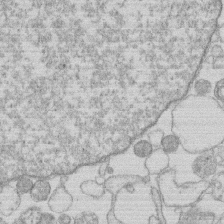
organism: Human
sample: Macrophage cells